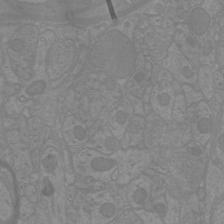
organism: Mouse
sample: Cortical neurons